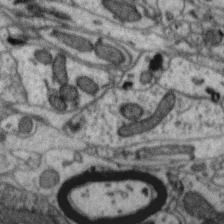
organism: Zebra finch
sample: Brain